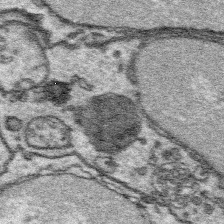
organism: Platynereis dumerilii